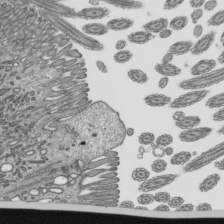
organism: Mouse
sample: Mouse epididymis efferent ductule cilia